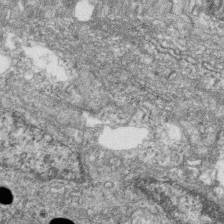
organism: Zebrafish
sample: Cilia; retinal pigment epithelium